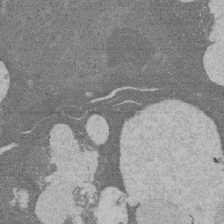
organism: Rat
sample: Salivary granule